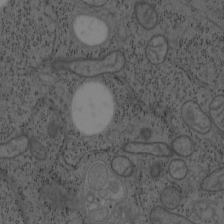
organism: Mouse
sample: OT-I killer T cells with ID8 ovarian cancer cells